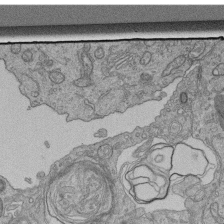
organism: Human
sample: Retinal organoid Rod and Cone cells